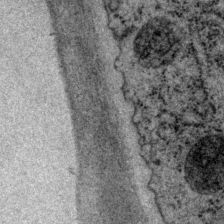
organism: P. pacificus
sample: Pharynx